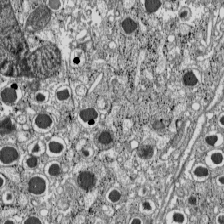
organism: C57BL Mouse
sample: Pancreatic islet